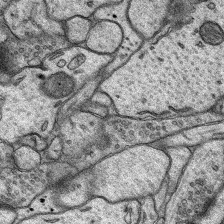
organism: Rat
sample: Hippocampus